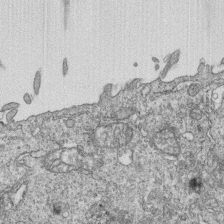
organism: Human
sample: HeLa cell HIV synapse